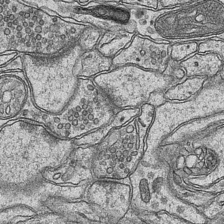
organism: Mouse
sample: CA1 Hippocampus